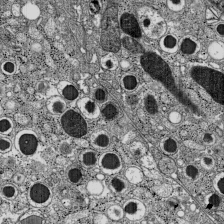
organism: C57BL Mouse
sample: Pancreatic islet